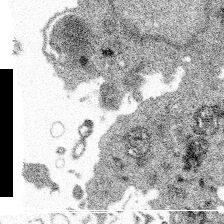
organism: Spongilla lacustris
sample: Multiple